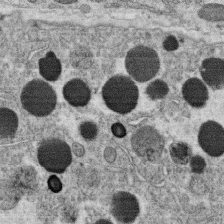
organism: C. elegans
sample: C. elegans oocyte; sperm cells